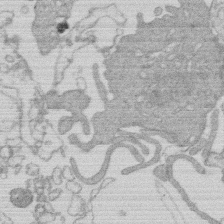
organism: Human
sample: Macrophage cells